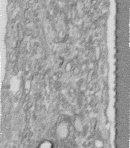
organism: Human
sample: Centriole in fibroblast cells